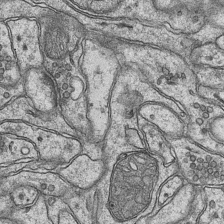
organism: Mouse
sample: CA1 Hippocampus